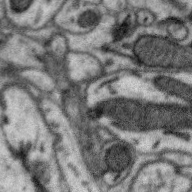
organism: Zebra finch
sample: Brain